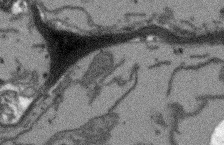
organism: Arabidopsis thaliana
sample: Root tip